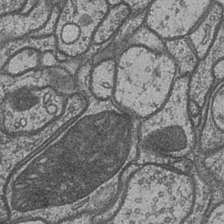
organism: Drosophila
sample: Optic medulla